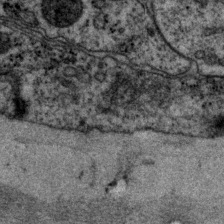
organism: P. pacificus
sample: Pharynx